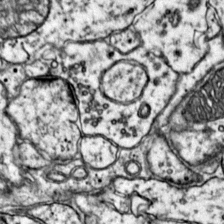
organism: Mouse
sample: Primary visual cortex